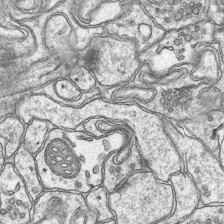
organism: Mouse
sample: CA1 Hippocampus